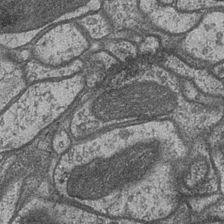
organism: Drosophila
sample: Optic medulla